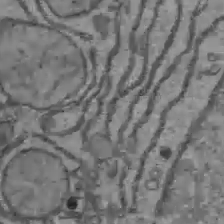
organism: C57BL Mouse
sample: Liver